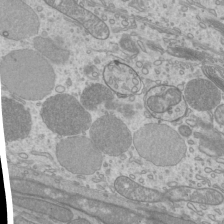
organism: Mouse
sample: Cilia; mouse epididymis